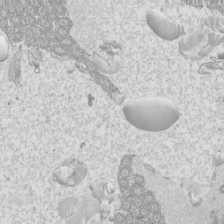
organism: Mouse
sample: Cilia; mouse epididymis